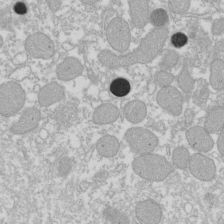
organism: Xenopus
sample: Cilia; centrioles in frog embryo cells